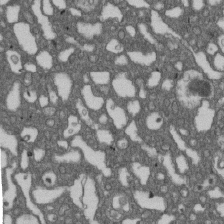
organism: Drosophila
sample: Nephrocyte